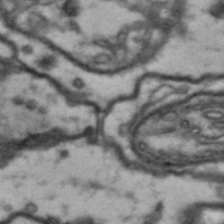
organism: Drosophila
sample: Brain